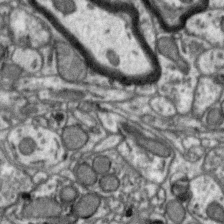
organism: Zebra finch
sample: Brain